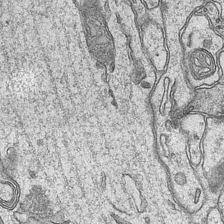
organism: Mouse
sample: CA1 Hippocampus